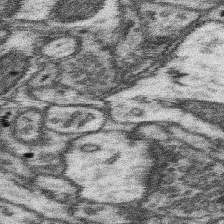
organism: Mouse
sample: Somatosensory cortex neuropil